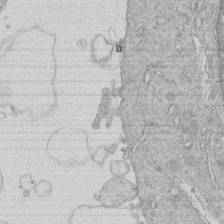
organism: Human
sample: Macrophage cells